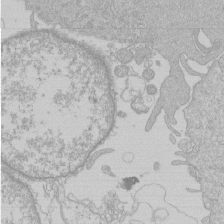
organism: Human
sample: Macrophage cells